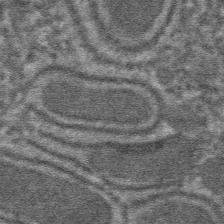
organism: Mouse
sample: Mouse hepatocytes